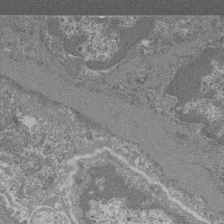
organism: Mouse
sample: Glomerulus